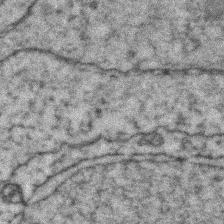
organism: Zebrafish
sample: Zebrafish embryo